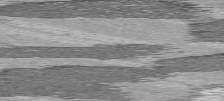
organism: C57BL Mouse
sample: Heart